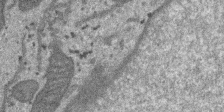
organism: Human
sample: Lung epithelial cells infected with SARS-CoV-2